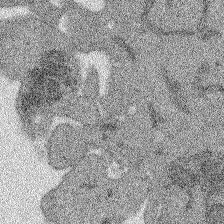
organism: Human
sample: HeLa cells